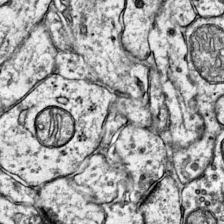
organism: Mouse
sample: Primary visual cortex